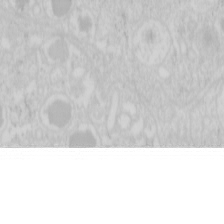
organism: Mouse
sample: Pancreas